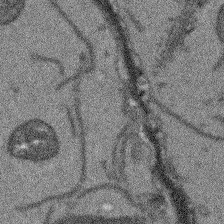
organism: Arabidopsis thaliana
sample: Root tip